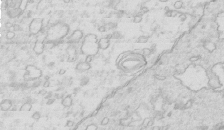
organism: Mouse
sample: Multiciliated cells